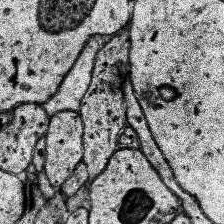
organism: Human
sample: Temporal Lobe